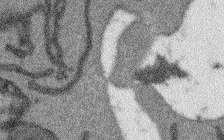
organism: Arabidopsis thaliana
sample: Root tip